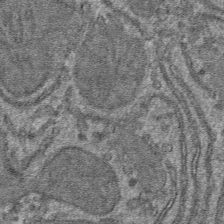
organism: Mouse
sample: Mouse hepatocytes